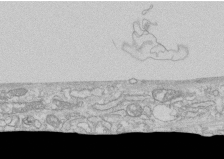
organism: Human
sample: CRL-1474